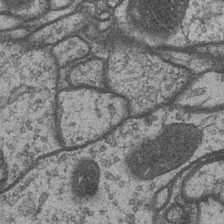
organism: Drosophila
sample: Optic medulla